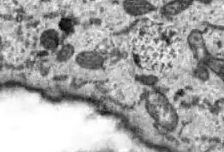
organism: Human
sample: HeLa cells